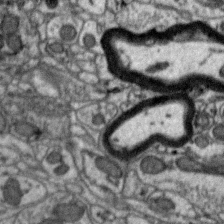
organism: Zebra finch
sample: Brain